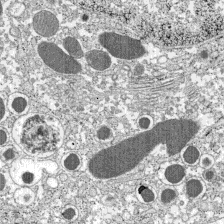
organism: C57BL Mouse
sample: Pancreatic islet